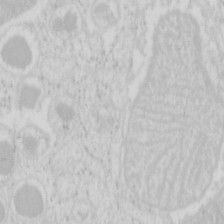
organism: Mouse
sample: Pancreas